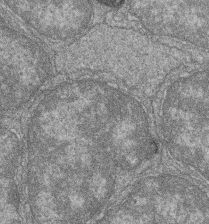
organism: Zebrafish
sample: Cilia; retinal pigment epithelium